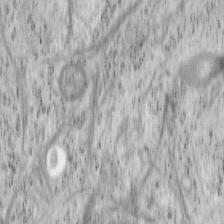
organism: Human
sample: HeLa cells